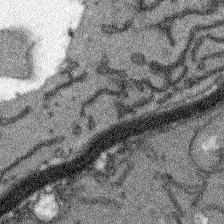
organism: Arabidopsis thaliana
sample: Root tip